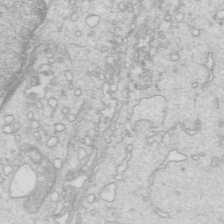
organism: Mouse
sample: Multiciliated cells